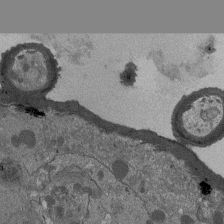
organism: Drosophila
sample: Antenna